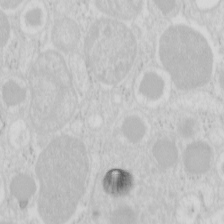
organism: Mouse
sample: Pancreas